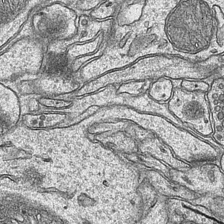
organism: Mouse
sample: CA1 Hippocampus